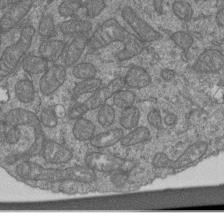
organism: Human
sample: Retinal organoid Rod and Cone cells